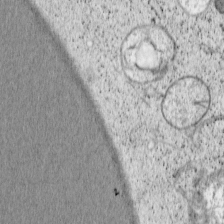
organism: African green monkey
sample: COS-7 cells